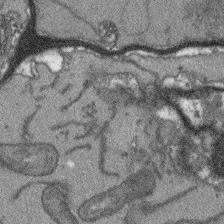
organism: Arabidopsis thaliana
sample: Root tip